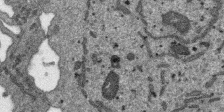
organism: Human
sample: Lung epithelial cells infected with SARS-CoV-2